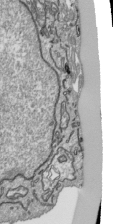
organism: Human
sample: Mitochondria in HCT116 cells